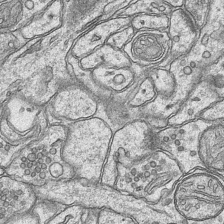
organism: Mouse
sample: CA1 Hippocampus